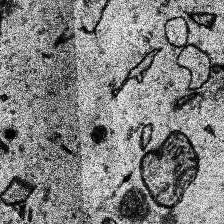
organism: Human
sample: Temporal Lobe